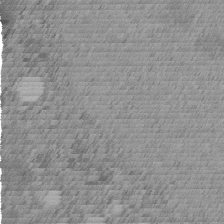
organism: C. elegans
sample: C. elegans embryo early stage